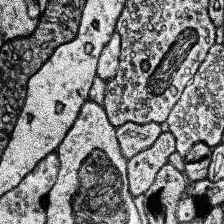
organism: Human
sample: Temporal Lobe